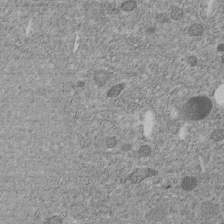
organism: C. elegans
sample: C. elegans embryo early stage